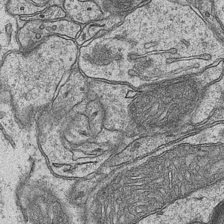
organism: Mouse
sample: CA1 Hippocampus